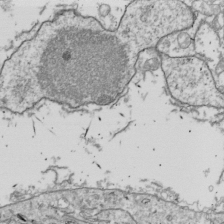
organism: Drosophila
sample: Cell division; meiosis; drosophila spermatocytes